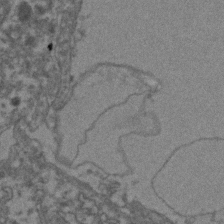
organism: Zebrafish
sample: Zebrafish embryo